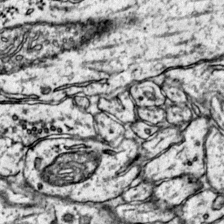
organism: Mouse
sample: Primary visual cortex